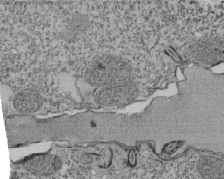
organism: Tetrahymena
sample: Cilia in tetrahymena